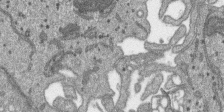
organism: Human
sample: Lung epithelial cells infected with SARS-CoV-2